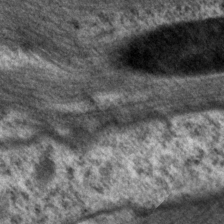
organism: P. pacificus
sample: Pharynx